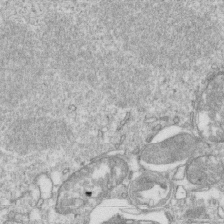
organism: Mouse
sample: Activated OT-1 CD8+ T cells